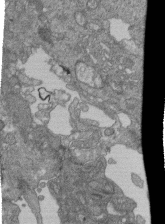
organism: Human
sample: Retinal organoid Rod and Cone cells